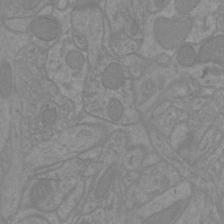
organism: Mouse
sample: Cortical neurons